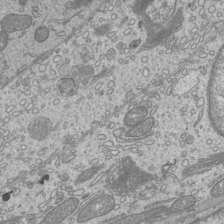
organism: Mouse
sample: Cilia; mouse epididymis